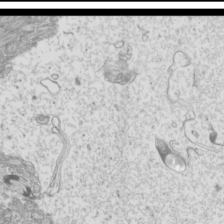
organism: Mouse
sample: Cilia; mouse epididymis